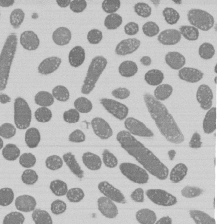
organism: E. coli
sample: Bacterial nucleoid